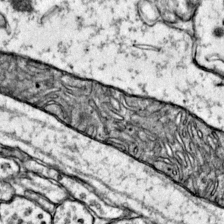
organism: Mouse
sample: Primary visual cortex